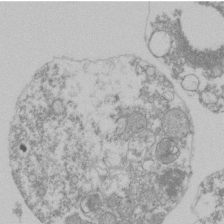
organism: Mouse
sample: Activated Pmel transgenic CD8+ T Cells